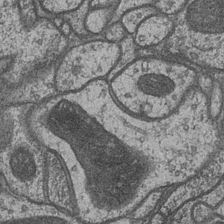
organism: Drosophila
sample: Optic medulla